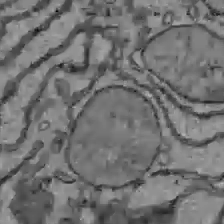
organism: C57BL Mouse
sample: Liver